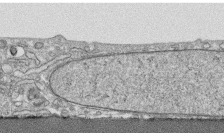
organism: Human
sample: CRL-1474